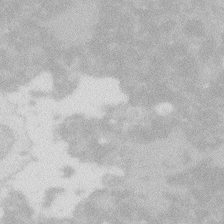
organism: Zebrafish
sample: Macrophage